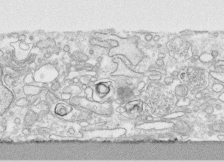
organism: Human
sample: CRL-1474